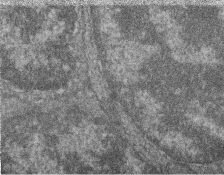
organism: Zebrafish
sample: Cilia; retinal pigment epithelium